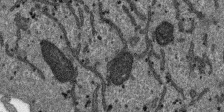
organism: Human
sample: Lung epithelial cells infected with SARS-CoV-2